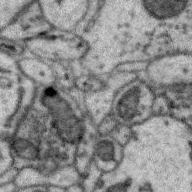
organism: Zebra finch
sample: Brain